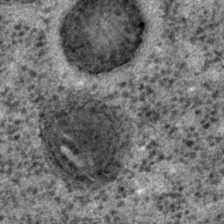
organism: C. elegans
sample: C. elegans embryo